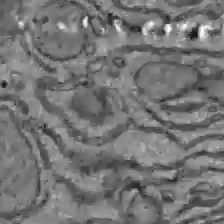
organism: C57BL Mouse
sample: Liver